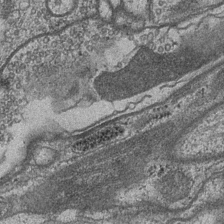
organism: Drosophila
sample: Optic medulla